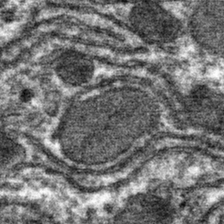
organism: Mouse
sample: Mouse hepatocytes